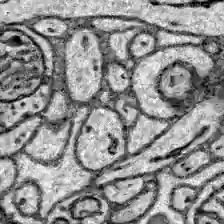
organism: Zebrafish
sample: Brain